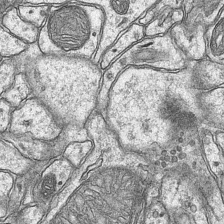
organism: Mouse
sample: CA1 Hippocampus